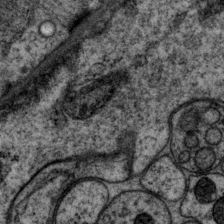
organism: P. pacificus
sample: Pharynx